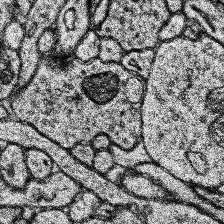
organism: Human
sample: Temporal Lobe